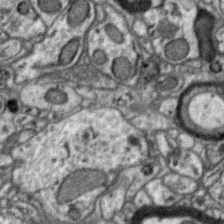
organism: Zebra finch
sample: Brain